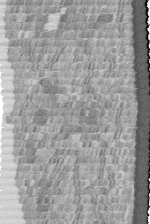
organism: Human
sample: Centriole in fibroblast cells